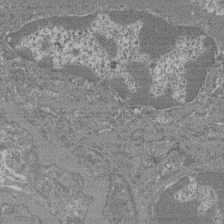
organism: Mouse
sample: Glomerulus